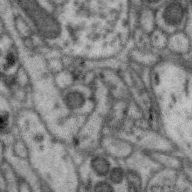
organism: Zebra finch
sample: Brain